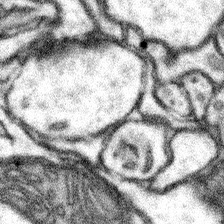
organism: Mouse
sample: Somatosensory cortex neuropil